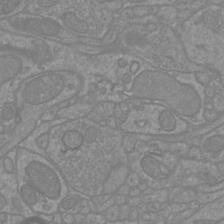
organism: Mouse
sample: Cortical neurons